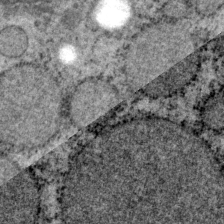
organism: P. pacificus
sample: Pharynx